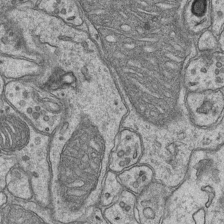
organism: Mouse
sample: CA1 Hippocampus